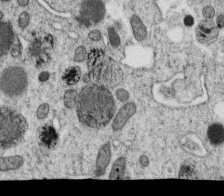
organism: C. elegans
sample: C. elegans oocyte; sperm cells